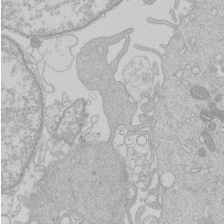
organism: Human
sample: Macrophage cells